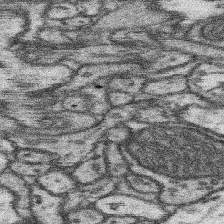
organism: Mouse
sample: Somatosensory cortex neuropil